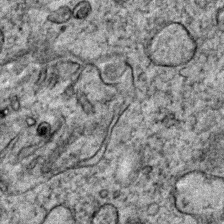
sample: Trachea